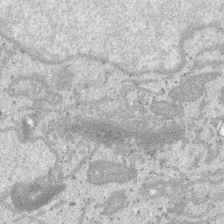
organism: Human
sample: Lung epithelial cells infected with SARS-CoV-2